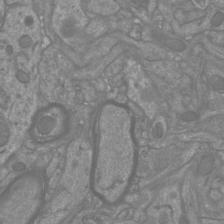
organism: Mouse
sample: Cortical neurons